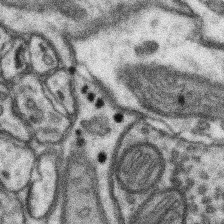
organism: Mouse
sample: Somatosensory cortex neuropil